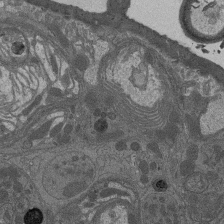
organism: Drosophila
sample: Antenna